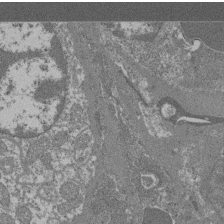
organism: Mouse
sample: Glomerulus